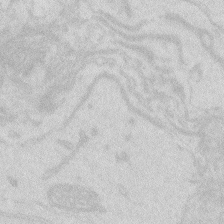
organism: Zebrafish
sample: Macrophage